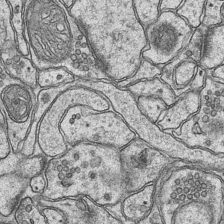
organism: Mouse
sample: CA1 Hippocampus